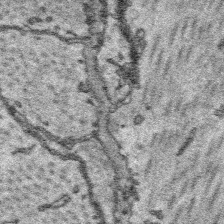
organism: Platynereis dumerilii